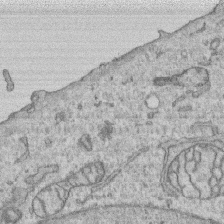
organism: Human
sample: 1205lu cells